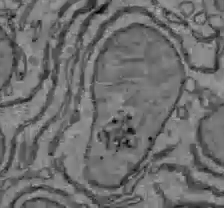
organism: C57BL Mouse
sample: Liver